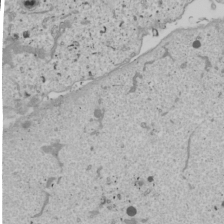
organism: Human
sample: Mitochondria in U2OS cells